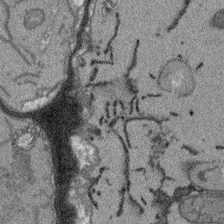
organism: Arabidopsis thaliana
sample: Root tip